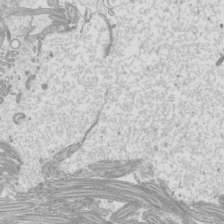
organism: Mouse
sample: Cilia; mouse epididymis